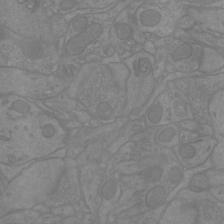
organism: Mouse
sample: Cortical neurons